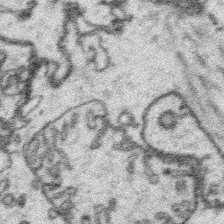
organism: Platynereis dumerilii